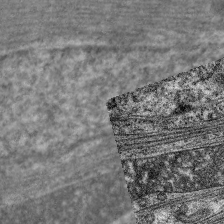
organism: C. elegans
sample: Pharynx